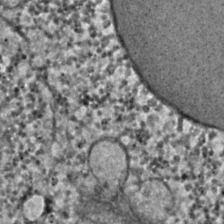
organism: C. elegans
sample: C. elegans embryo